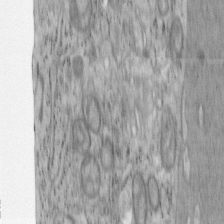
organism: Human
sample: HeLa cells